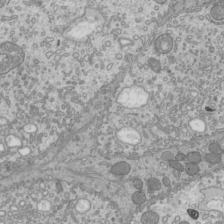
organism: Mouse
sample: Cilia; mouse epididymis